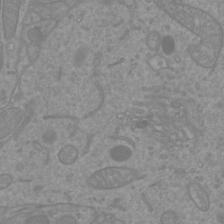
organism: Mouse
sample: Cortical neurons